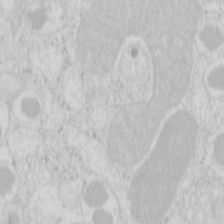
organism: Mouse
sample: Pancreas